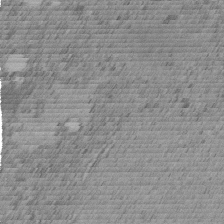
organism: C. elegans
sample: C. elegans embryo early stage